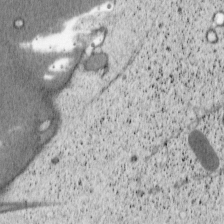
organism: African green monkey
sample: COS-7 cells